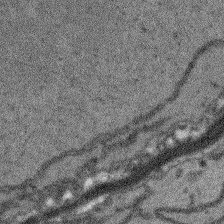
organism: Arabidopsis thaliana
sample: Root tip